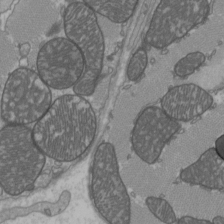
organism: C57BL Mouse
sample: Heart